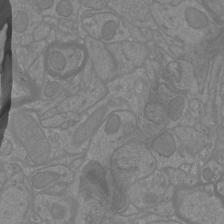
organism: Mouse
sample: Cortical neurons